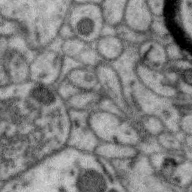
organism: Zebra finch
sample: Brain